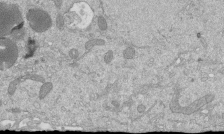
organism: Mouse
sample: ED-1 cell nuclei; centrioles